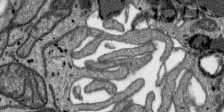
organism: Human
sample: Lung epithelial cells, uninfected (mock) control